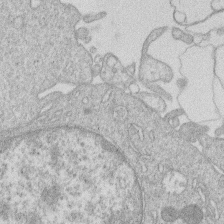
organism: Human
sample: Macrophage cells